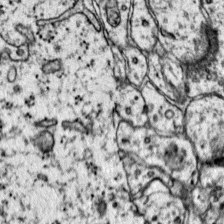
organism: Mouse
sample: Primary visual cortex